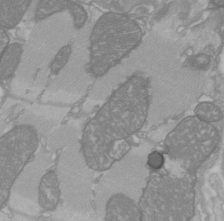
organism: C57BL Mouse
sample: Heart